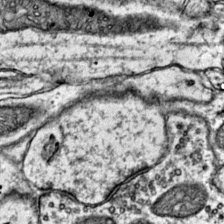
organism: Mouse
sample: Primary visual cortex